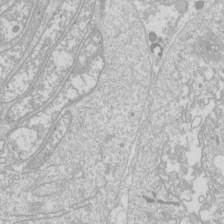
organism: Drosophila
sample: Cell division; meiosis; drosophila spermatocytes